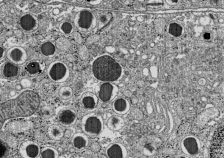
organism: C57BL Mouse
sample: Pancreatic islet